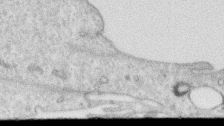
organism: Human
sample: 1205lu cells